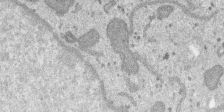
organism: Human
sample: Lung epithelial cells infected with SARS-CoV-2